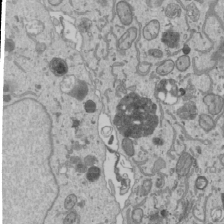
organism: Human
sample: Mitochondria in U2OS cells